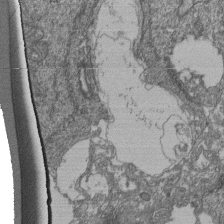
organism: Human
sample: Retinal organoid Rod and Cone cells